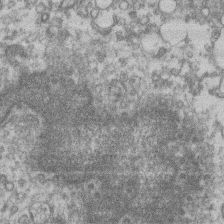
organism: Mouse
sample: T cell stromal cell synapse